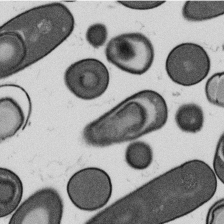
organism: B. subtilis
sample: Bacterial spore